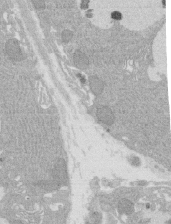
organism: Rat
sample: Salivary granule